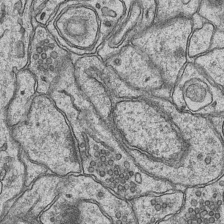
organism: Mouse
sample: CA1 Hippocampus